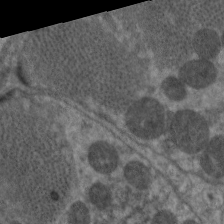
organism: C. elegans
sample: Pharynx